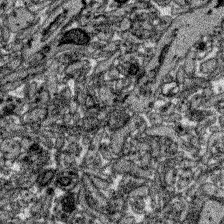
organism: Zebrafish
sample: Larval olfactory bulb